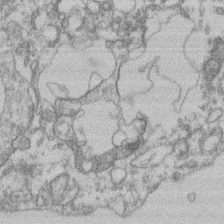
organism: Mouse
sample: T cell stromal cell synapse